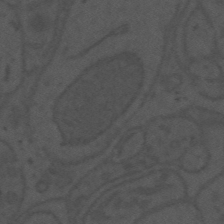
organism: Mouse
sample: Suprachiasmatic nucleus